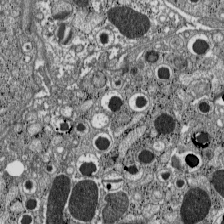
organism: C57BL Mouse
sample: Pancreatic islet